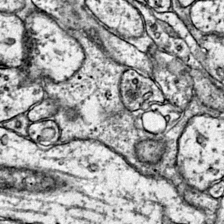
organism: Mouse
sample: Primary visual cortex